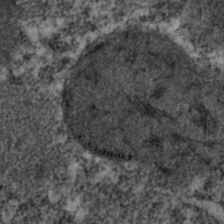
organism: C. elegans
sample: C. elegans embryo